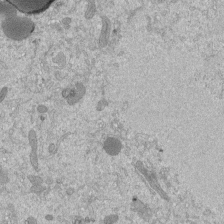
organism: Mouse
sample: ED-1 cell nuclei; centrioles